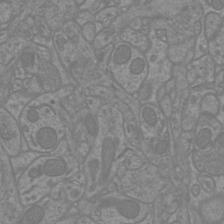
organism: Mouse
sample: Cortical neurons